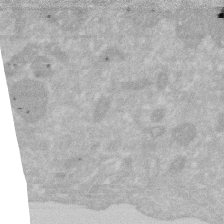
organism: Human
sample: HIV infected U937 cells